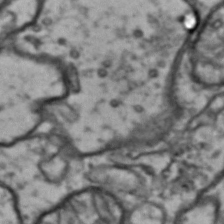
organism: Drosophila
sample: Brain